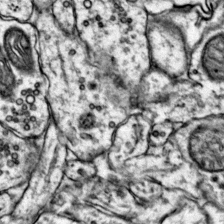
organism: Mouse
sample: Primary visual cortex